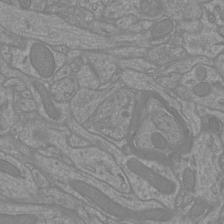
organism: Mouse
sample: Cortical neurons